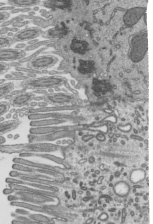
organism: Mouse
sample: Mouse epididymis efferent ductule cilia